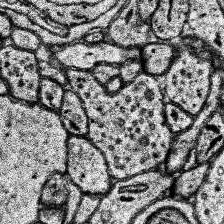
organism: Human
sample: Temporal Lobe